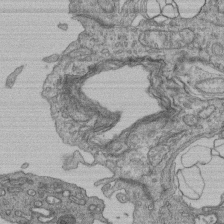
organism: Human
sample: Retinal organoid Rod and Cone cells